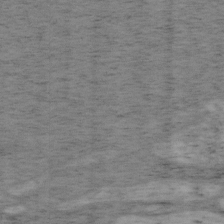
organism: Mouse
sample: OT-I killer T cells with ID8 ovarian cancer cells